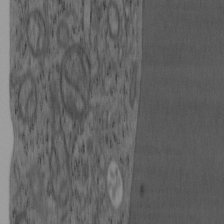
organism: Human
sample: HeLa cells